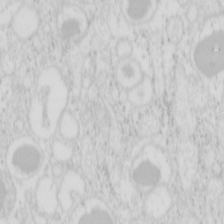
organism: Mouse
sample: Pancreas